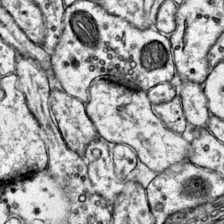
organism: Mouse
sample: Primary visual cortex